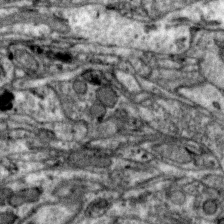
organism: Zebra finch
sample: Brain